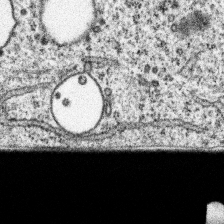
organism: Human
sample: HeLa cells